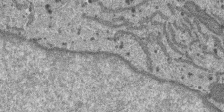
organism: Human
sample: Lung epithelial cells infected with SARS-CoV-2